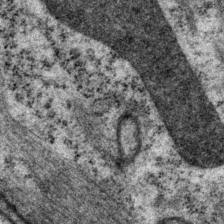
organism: P. pacificus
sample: Pharynx